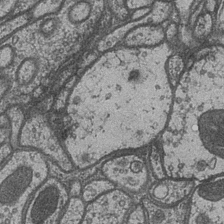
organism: Drosophila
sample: Optic medulla